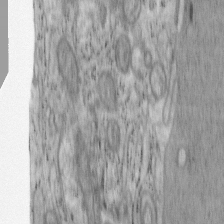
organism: Human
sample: HeLa cells